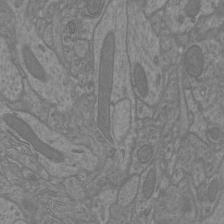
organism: Mouse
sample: Cortical neurons